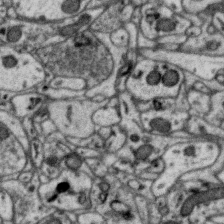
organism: Zebra finch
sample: Brain